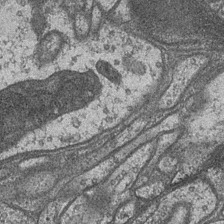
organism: Drosophila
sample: Optic medulla